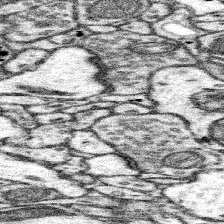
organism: Mouse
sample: Somatosensory cortex neuropil